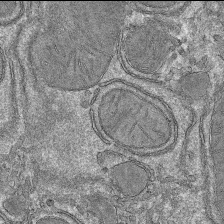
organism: Mouse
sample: Mouse hepatocytes